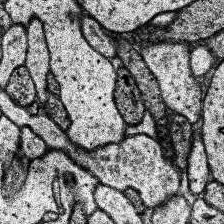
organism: Human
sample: Temporal Lobe